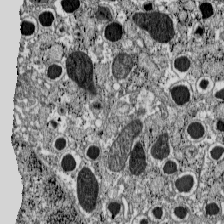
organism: C57BL Mouse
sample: Pancreatic islet